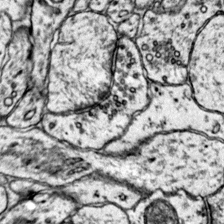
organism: Mouse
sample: Primary visual cortex